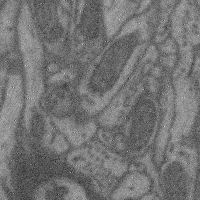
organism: Mouse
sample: Cerebral cortex